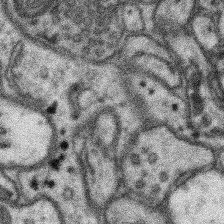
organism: Mouse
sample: Somatosensory cortex neuropil